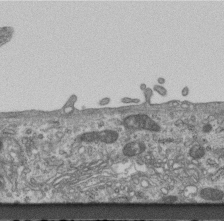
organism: Mouse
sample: Centriole in ependymal cells